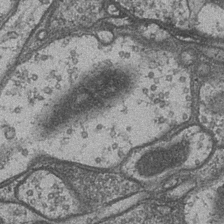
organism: Drosophila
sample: Optic medulla